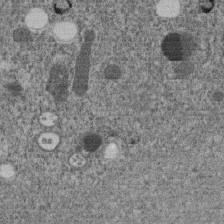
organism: C. elegans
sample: C. elegans embryo early stage